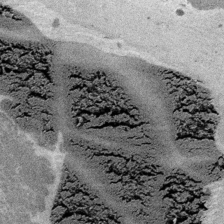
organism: Embia sp.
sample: Silk gland